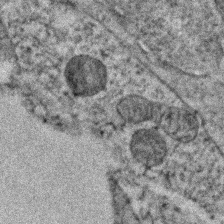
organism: Zebrafish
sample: Zebrafish embryo